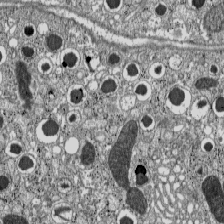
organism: C57BL Mouse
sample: Pancreatic islet